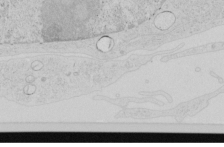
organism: Human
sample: Mitochondria in HCT116 cells